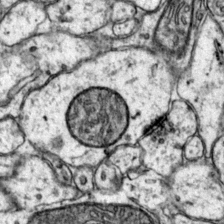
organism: Mouse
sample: Primary visual cortex